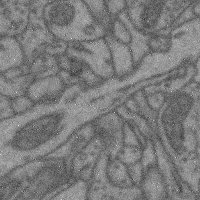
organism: Mouse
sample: Cerebral cortex